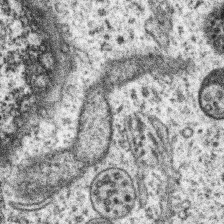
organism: Human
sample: HeLa cells